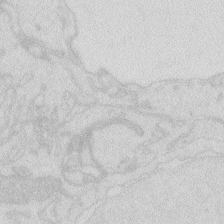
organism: Zebrafish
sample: Macrophage